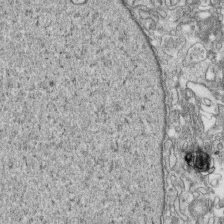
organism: Human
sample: CRL-1474